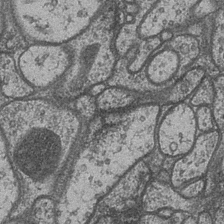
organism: Drosophila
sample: Optic medulla